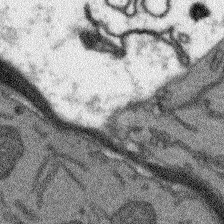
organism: Arabidopsis thaliana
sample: Root tip